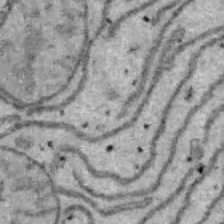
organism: Mouse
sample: Liver from an obese (ob/ob) mouse